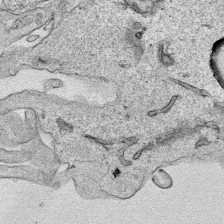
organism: Human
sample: Mitochondria in HCT116 cells